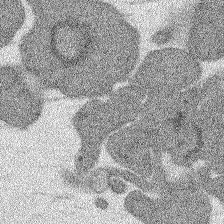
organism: Human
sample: HeLa cells